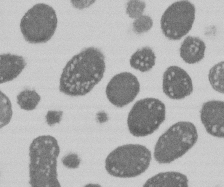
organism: E. coli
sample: Bacterial nucleoid